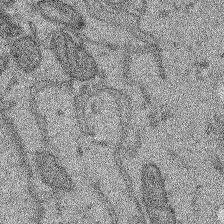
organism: Human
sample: HeLa cells